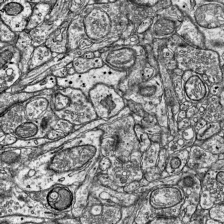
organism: Mouse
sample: Visual Cortex